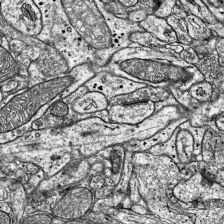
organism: Mouse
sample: Visual Cortex